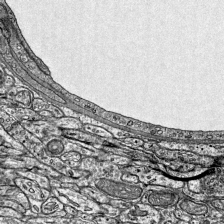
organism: Mouse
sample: Visual Cortex